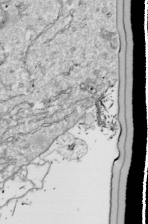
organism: Drosophila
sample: Cell division; meiosis; drosophila spermatocytes